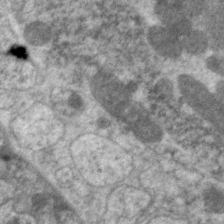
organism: C. elegans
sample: Pharynx